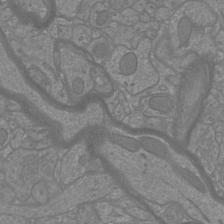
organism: Mouse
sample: Cortical neurons